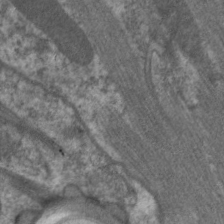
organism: C. elegans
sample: Pharynx